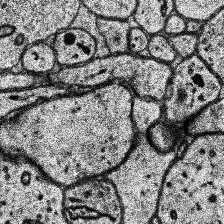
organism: Human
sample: Temporal Lobe